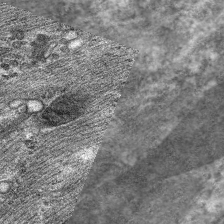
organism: C. elegans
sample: Pharynx